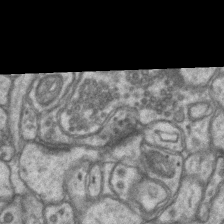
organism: Mouse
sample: CA1 Hippocampus